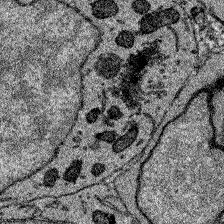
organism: Zebrafish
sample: Larval olfactory bulb